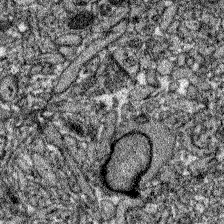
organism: Zebrafish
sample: Larval olfactory bulb